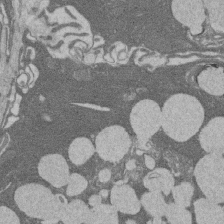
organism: Rat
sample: Salivary granule